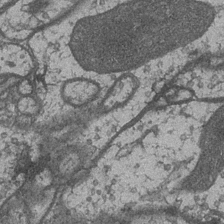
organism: Drosophila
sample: Optic medulla